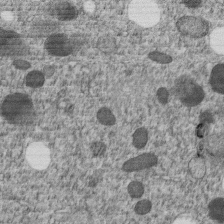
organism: C. elegans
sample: C. elegans embryo early stage